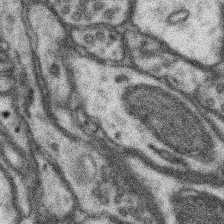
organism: Mouse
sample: Somatosensory cortex neuropil